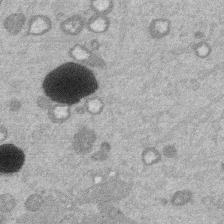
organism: Mouse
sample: Dividing mouse embryo 1 cell stage